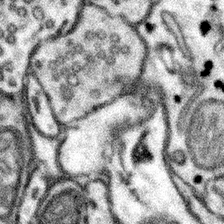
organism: Mouse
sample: Somatosensory cortex neuropil